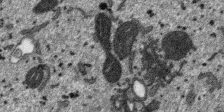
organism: Human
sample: Lung epithelial cells infected with SARS-CoV-2